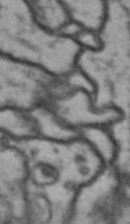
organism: Drosophila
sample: Brain